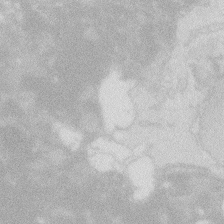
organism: Zebrafish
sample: Macrophage